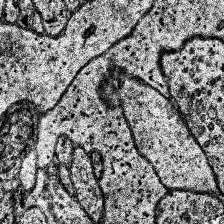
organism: Human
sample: Temporal Lobe